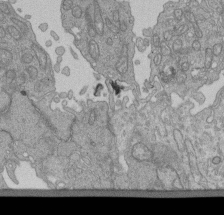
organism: Human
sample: Retinal organoid Rod and Cone cells